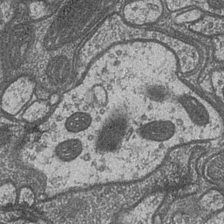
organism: Drosophila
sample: Optic medulla